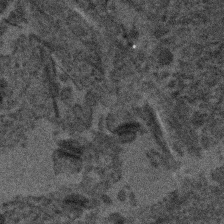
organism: Human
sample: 1205lu cells